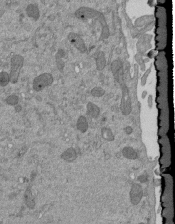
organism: Mouse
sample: ED-1 cell nuclei; centrioles